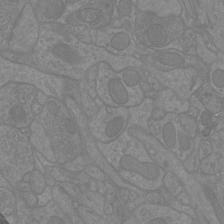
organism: Mouse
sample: Cortical neurons